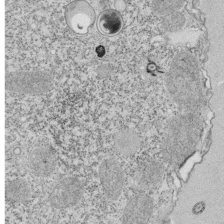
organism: Tetrahymena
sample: Cilia in tetrahymena